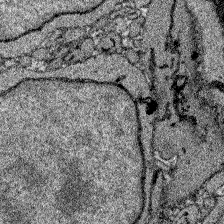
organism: Zebrafish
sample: Larval olfactory bulb